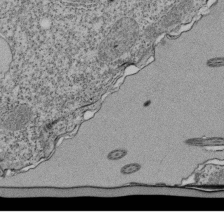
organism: Tetrahymena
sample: Cilia in tetrahymena